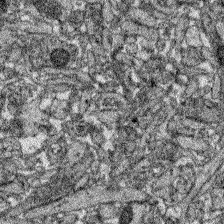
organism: Zebrafish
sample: Larval olfactory bulb